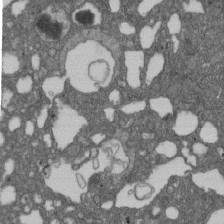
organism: Drosophila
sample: Nephrocyte